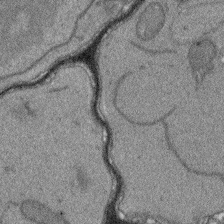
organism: Arabidopsis thaliana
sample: Root tip